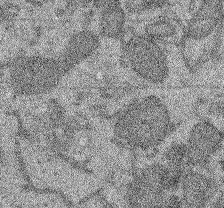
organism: Human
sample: HeLa cells